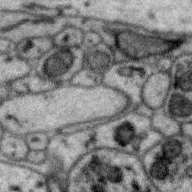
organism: Zebra finch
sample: Brain